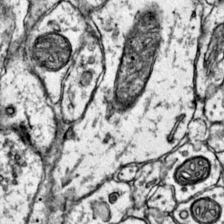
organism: Mouse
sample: Primary visual cortex